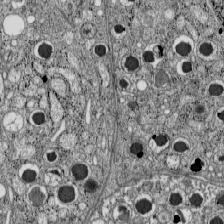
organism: C57BL Mouse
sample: Pancreatic islet